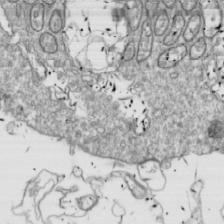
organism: Drosophila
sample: Cell division; meiosis; drosophila spermatocytes